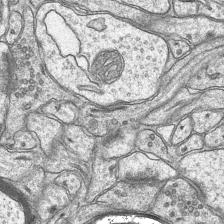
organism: Mouse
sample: CA1 Hippocampus